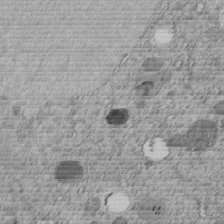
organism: C. elegans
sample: C. elegans embryo early stage